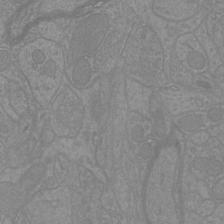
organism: Mouse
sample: Cortical neurons